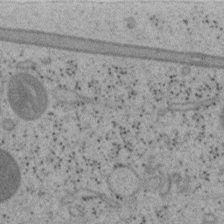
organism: Human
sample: HeLa cells